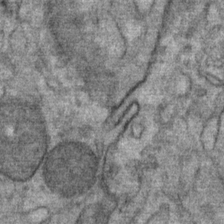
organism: Mouse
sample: Mouse Salivary gland